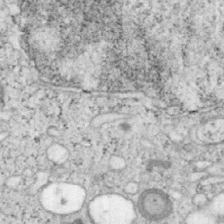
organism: Mouse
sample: OT-I killer T cells with ID8 ovarian cancer cells